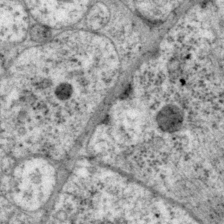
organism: P. pacificus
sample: Pharynx